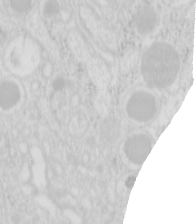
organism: Mouse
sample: Pancreas